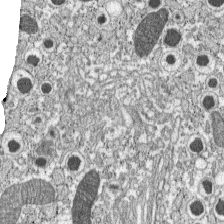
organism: C57BL Mouse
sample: Pancreatic islet